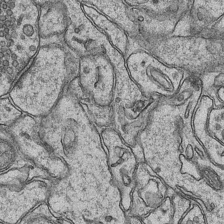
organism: Mouse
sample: CA1 Hippocampus